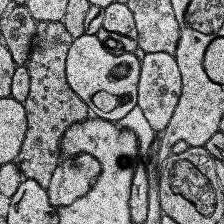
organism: Human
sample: Temporal Lobe